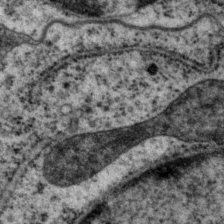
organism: P. pacificus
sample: Pharynx